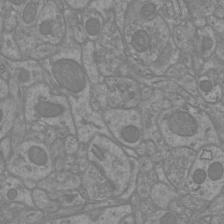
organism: Mouse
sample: Cortical neurons